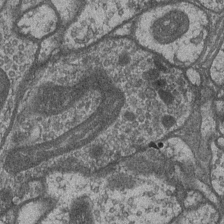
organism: Drosophila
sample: Optic medulla